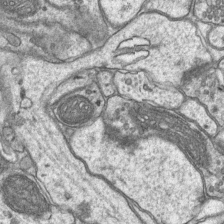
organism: Mouse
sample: CA1 Hippocampus